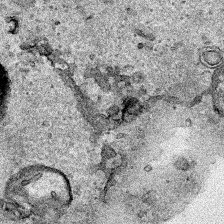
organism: Human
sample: Mitochondria in HCT116 cells